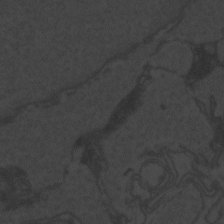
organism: Zebrafish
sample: Macrophage infected with Toxoplasma gondii